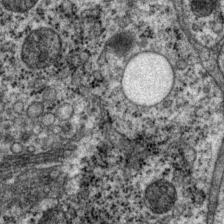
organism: P. pacificus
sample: Pharynx